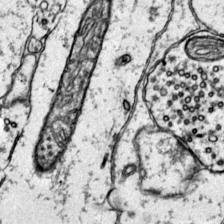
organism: Mouse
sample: Primary visual cortex